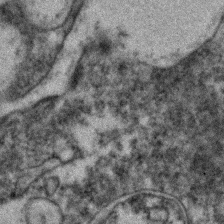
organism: Zebrafish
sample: Zebrafish embryo